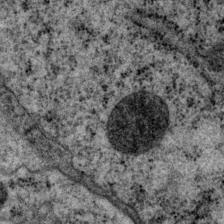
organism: P. pacificus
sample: Pharynx